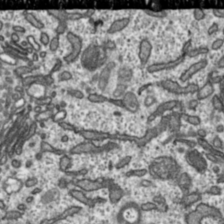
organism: Toxoplasma gondii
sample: Parasites in a vacuole inside a host cell